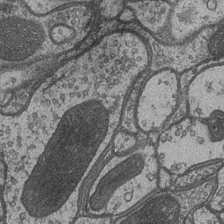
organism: Drosophila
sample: Optic medulla